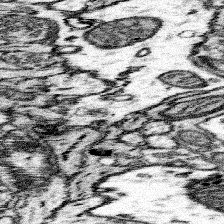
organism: Mouse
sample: Somatosensory cortex neuropil